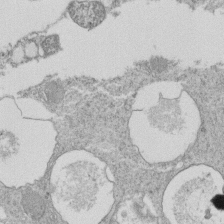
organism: Tetrahymena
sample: Cilia in tetrahymena